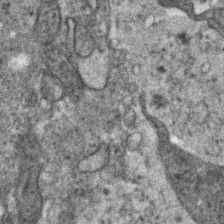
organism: Human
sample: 1205lu cells